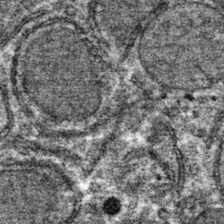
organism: Mouse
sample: Mouse hepatocytes